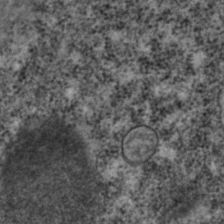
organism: C. elegans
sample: C. elegans embryo